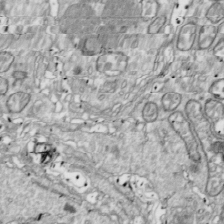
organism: Drosophila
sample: Cell division; meiosis; drosophila spermatocytes